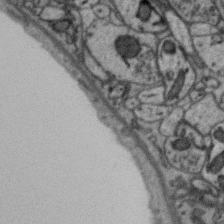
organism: Zebra finch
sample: Brain